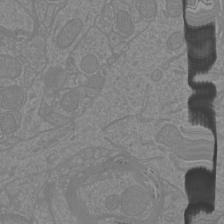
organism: Mouse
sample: Cortical neurons